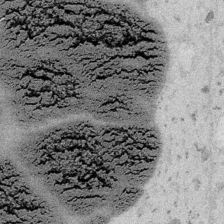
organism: Embia sp.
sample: Silk gland